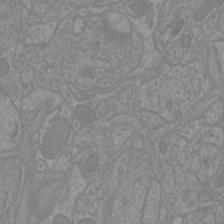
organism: Mouse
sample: Cortical neurons